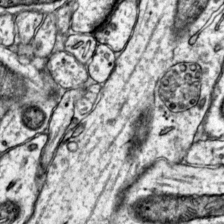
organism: Mouse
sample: Primary visual cortex